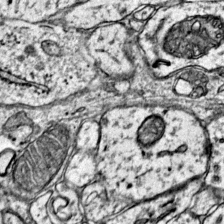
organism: Mouse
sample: Primary visual cortex